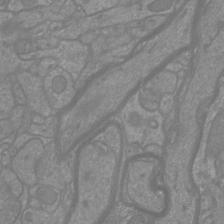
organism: Mouse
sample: Cortical neurons